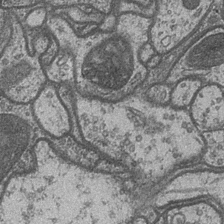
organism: Drosophila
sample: Optic medulla